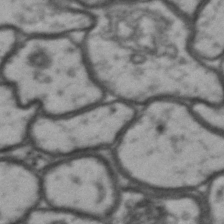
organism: Drosophila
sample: Brain